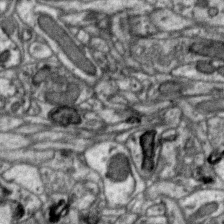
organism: Zebra finch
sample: Brain